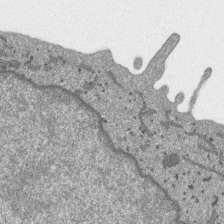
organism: Human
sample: Lung epithelial cells infected with SARS-CoV-2